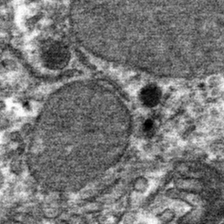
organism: Mouse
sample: Mouse hepatocytes